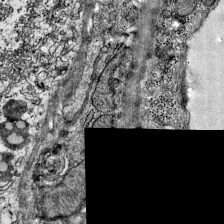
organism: Mouse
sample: Visual Cortex